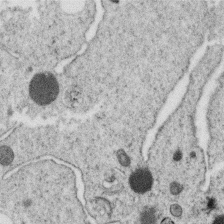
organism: C. elegans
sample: C. elegans oocyte; sperm cells